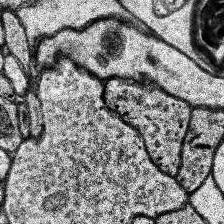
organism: Human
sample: Temporal Lobe